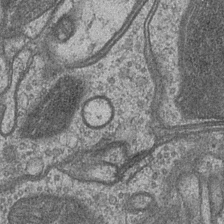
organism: Drosophila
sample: Optic medulla